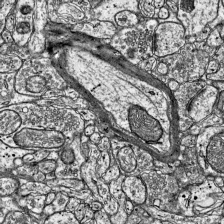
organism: Mouse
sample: Visual Cortex